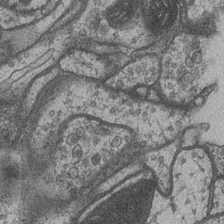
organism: Drosophila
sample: Optic medulla